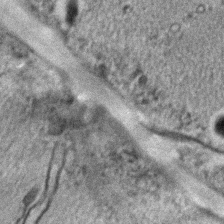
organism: C. elegans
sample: C. elegans embryo